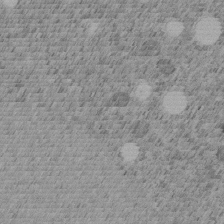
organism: C. elegans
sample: C. elegans embryo early stage